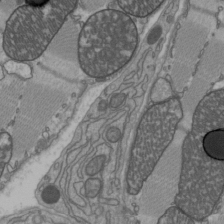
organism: C57BL Mouse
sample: Heart